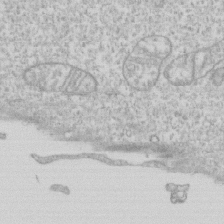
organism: Human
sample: CRL-1474